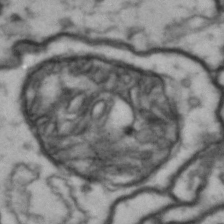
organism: Drosophila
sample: Brain